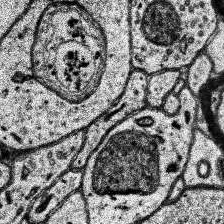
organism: Human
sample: Temporal Lobe